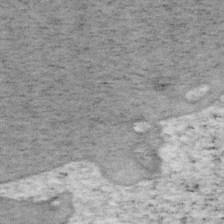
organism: Mouse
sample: OT-I killer T cells with ID8 ovarian cancer cells